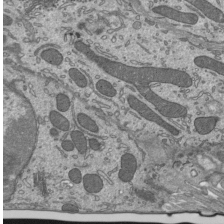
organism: Mouse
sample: Mouse epididymis efferent ductule cilia